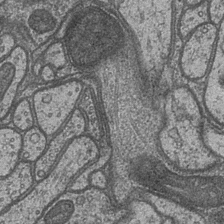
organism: Drosophila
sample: Optic medulla